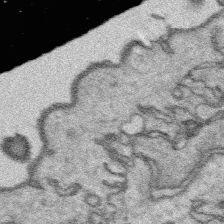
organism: Platynereis dumerilii